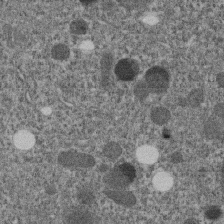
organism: C. elegans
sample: C. elegans embryo early stage